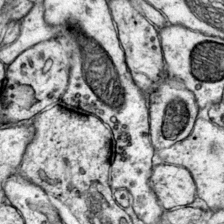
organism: Mouse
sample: Primary visual cortex